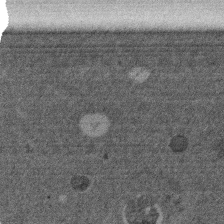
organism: Mouse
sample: Dividing mouse embryo 1 cell stage